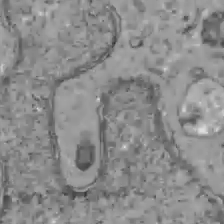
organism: C57BL Mouse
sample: Liver